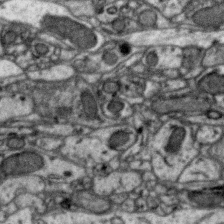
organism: Zebra finch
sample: Brain